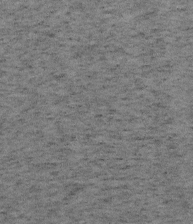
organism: Mouse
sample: OT-I killer T cells with ID8 ovarian cancer cells